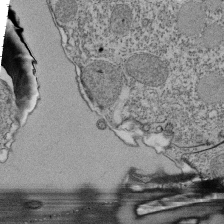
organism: Tetrahymena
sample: Cilia in tetrahymena